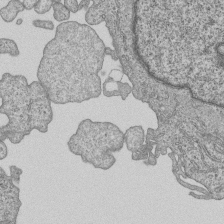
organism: Human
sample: MDA-MB-231 cells